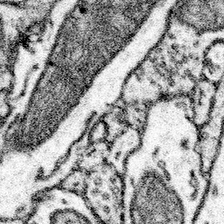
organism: Mouse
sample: Somatosensory cortex neuropil